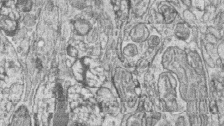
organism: Zebrafish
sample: synaptic ribbons in rod cells and cone cells